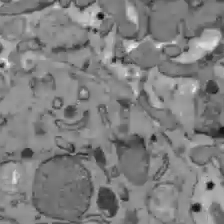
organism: C57BL Mouse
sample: Liver